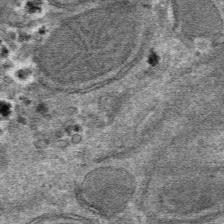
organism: Mouse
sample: Mouse hepatocytes